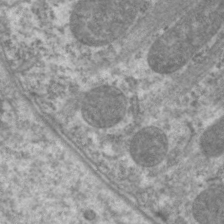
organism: C. elegans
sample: Pharynx